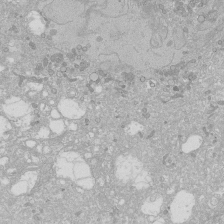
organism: Human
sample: Caco-2 cells